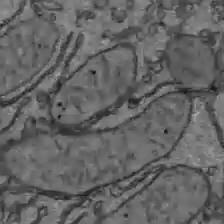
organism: C57BL Mouse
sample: Liver